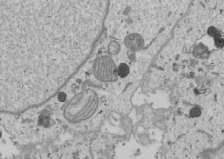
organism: Human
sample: Mitochondria in U2OS cells